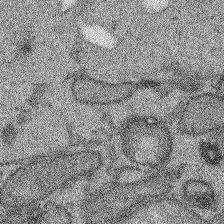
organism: Human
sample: HeLa cells